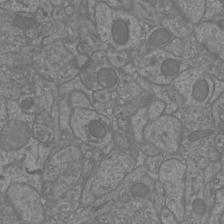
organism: Mouse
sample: Cortical neurons